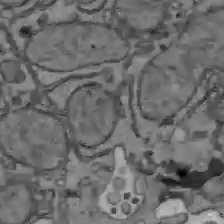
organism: C57BL Mouse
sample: Liver